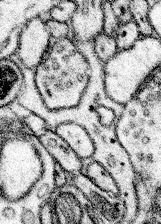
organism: Mouse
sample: Somatosensory cortex neuropil